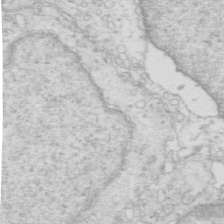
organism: Mouse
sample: Multiciliated cells